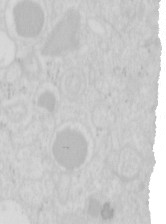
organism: Mouse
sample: Pancreas